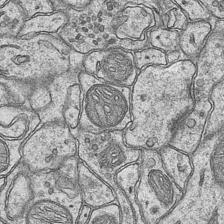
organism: Mouse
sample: CA1 Hippocampus